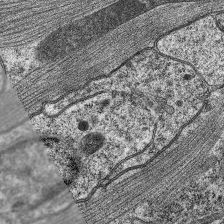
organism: C. elegans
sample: Pharynx